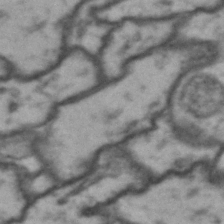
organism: Drosophila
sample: Brain